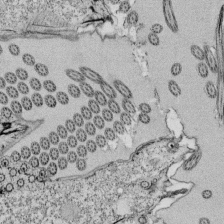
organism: Tetrahymena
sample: Cilia in tetrahymena